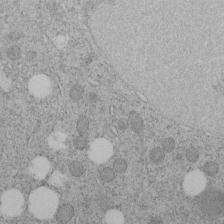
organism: C. elegans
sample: C. elegans embryo early stage